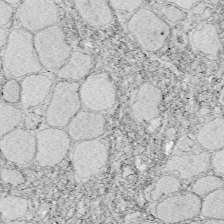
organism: Zebrafish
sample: Whole-Brain